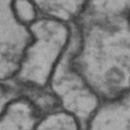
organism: Drosophila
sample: Brain